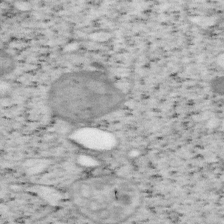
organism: Mouse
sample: OT-I killer T cells with ID8 ovarian cancer cells